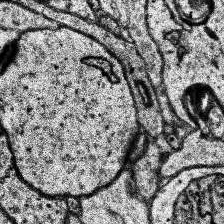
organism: Human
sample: Temporal Lobe